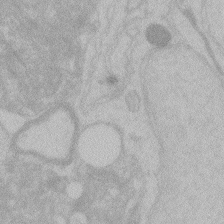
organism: Zebrafish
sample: Macrophage infected with Toxoplasma gondii